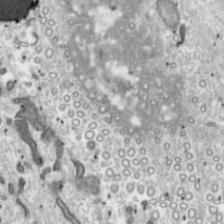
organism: Toxoplasma gondii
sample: Parasites in a vacuole inside a host cell